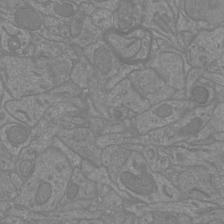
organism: Mouse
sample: Cortical neurons